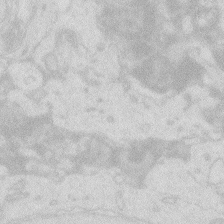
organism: Zebrafish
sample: Macrophage